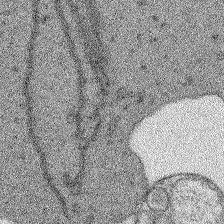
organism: Human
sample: HeLa cells